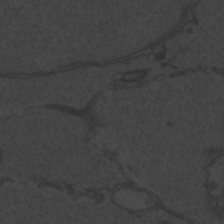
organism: Zebrafish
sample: Macrophage infected with Toxoplasma gondii